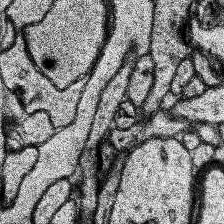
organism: Human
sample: Temporal Lobe